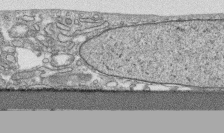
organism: Human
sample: CRL-1474